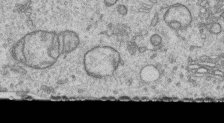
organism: Human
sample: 1205lu cells